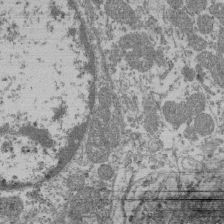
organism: Mouse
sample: Glomerulus